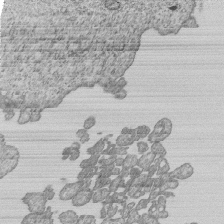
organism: Human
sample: MDA-MB-231 cells